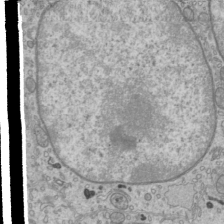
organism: Mouse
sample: Cilia; mouse epididymis